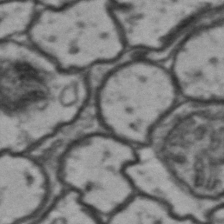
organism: Drosophila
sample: Brain